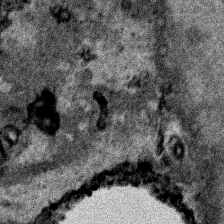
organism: Human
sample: Mitochondria in HCT116 cells